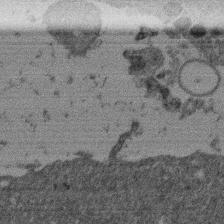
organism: Mouse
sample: Dividing mouse embryo 1 cell stage